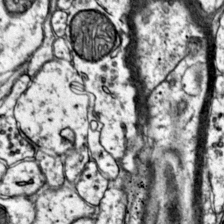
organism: Mouse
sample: Primary visual cortex